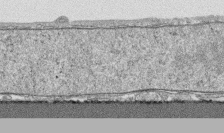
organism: Human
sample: CRL-1474